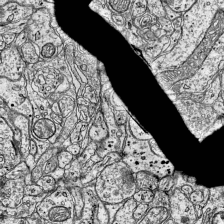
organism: Mouse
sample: Visual Cortex